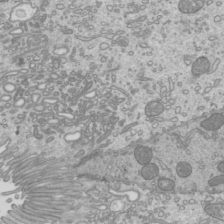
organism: Mouse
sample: Cilia; mouse epididymis